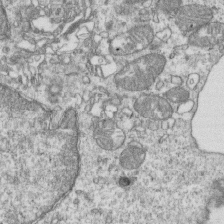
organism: Mouse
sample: Activated OT-1 CD8+ T cells